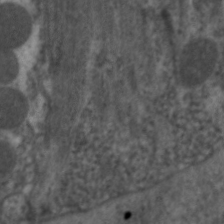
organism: C. elegans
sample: Pharynx